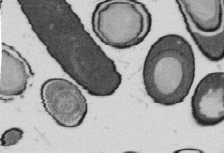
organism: B. subtilis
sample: Bacterial spore